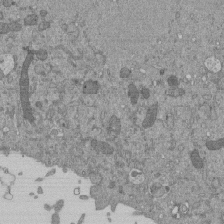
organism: Mouse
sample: ED-1 cell nuclei; centrioles